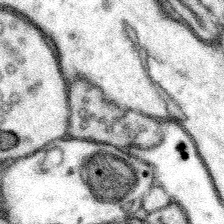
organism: Mouse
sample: Somatosensory cortex neuropil